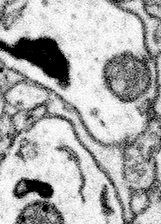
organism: Mouse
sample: Somatosensory cortex neuropil